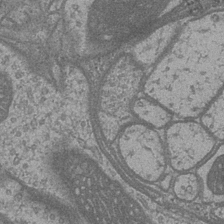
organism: Drosophila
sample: Optic medulla